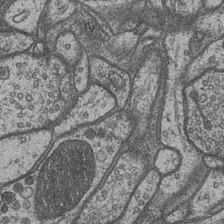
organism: Drosophila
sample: Optic medulla